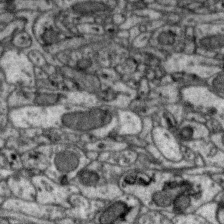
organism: Zebra finch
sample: Brain